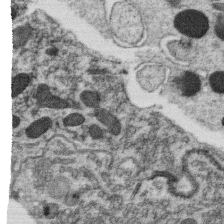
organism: C. elegans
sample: C. elegans oocyte; sperm cells